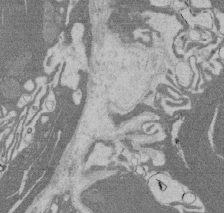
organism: Rat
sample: Salivary granule